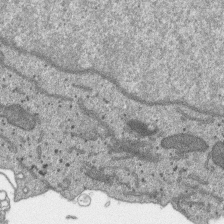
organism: Human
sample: Lung epithelial cells infected with SARS-CoV-2